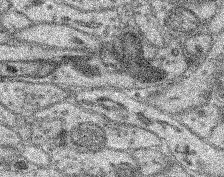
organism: Mouse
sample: Retina